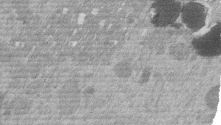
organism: Mouse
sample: Dividing mouse embryo 1 cell stage